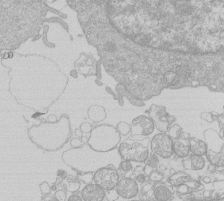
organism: Human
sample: Macrophage cells